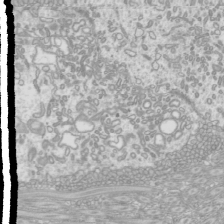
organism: Mouse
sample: Cilia; mouse epididymis